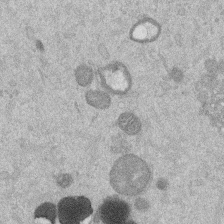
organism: Mouse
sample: Dividing mouse embryo 1 cell stage